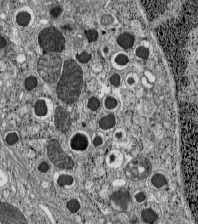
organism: C57BL Mouse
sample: Pancreatic islet